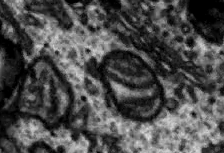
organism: Human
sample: HeLa cells